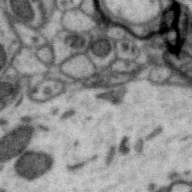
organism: Zebra finch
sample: Brain